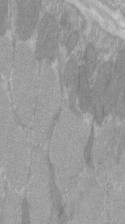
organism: C57BL Mouse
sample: Tibialis anterior muscle cell